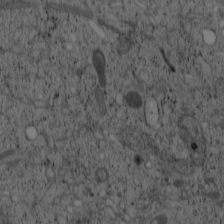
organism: African green monkey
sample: COS-7 cells